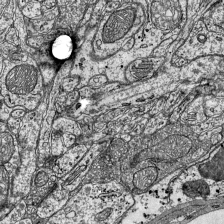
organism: Mouse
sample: Visual Cortex